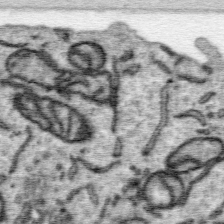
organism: Human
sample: HeLa cells